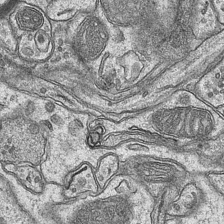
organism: Mouse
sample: CA1 Hippocampus